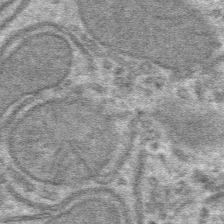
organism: Mouse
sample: Mouse hepatocytes